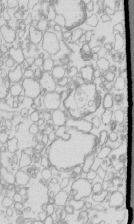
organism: Mouse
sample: Macrophages